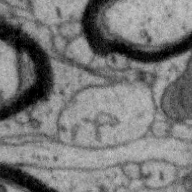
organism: Zebra finch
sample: Brain